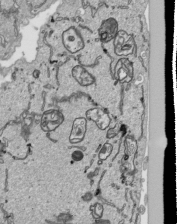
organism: Human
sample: Mitochondria in HCT116 cells